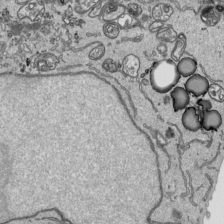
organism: Human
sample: Mitochondria in HCT116 cells